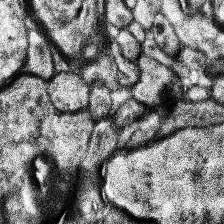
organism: Human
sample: Temporal Lobe